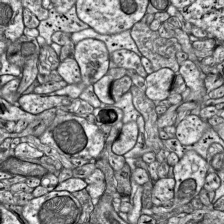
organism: Mouse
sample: Visual Cortex